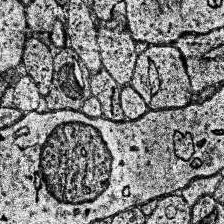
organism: Human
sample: Temporal Lobe